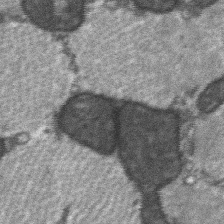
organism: C57BL Mouse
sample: Soleus